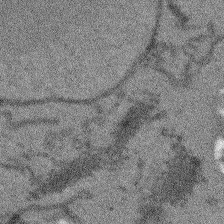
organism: Arabidopsis thaliana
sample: Root tip